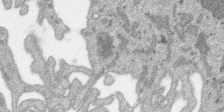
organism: Human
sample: Lung epithelial cells infected with SARS-CoV-2